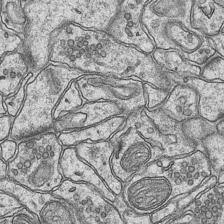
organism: Mouse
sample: CA1 Hippocampus